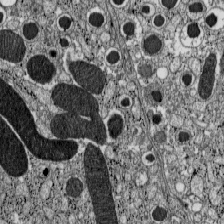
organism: C57BL Mouse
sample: Pancreatic islet